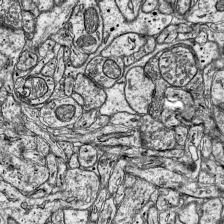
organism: Mouse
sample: Visual Cortex